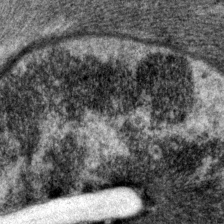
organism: P. pacificus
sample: Pharynx